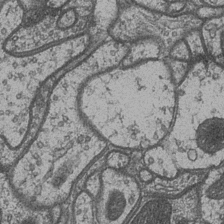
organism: Drosophila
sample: Optic medulla